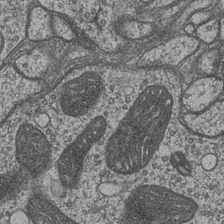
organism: Drosophila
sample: Optic medulla